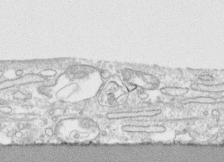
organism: Human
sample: CRL-1474